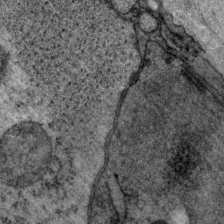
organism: P. pacificus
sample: Pharynx